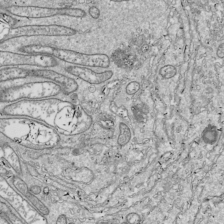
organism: Drosophila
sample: Cell division; meiosis; drosophila spermatocytes